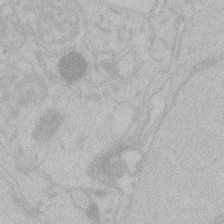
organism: Zebrafish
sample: Macrophage infected with Toxoplasma gondii